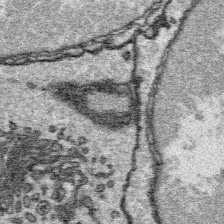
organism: Platynereis dumerilii